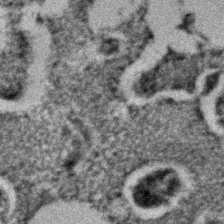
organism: C. elegans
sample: C. elegans embryo